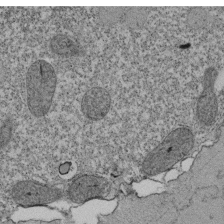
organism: Tetrahymena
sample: Cilia in tetrahymena